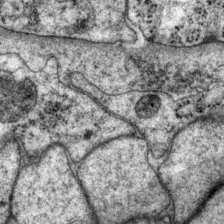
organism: P. pacificus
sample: Pharynx